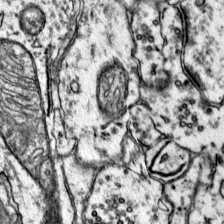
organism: Mouse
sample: Primary visual cortex